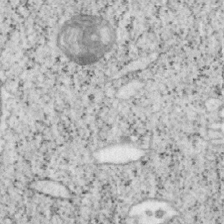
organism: Mouse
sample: OT-I killer T cells with ID8 ovarian cancer cells